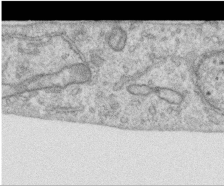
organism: Human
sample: Centriole in RPE cells